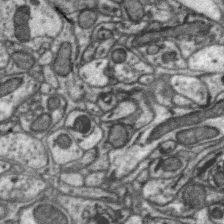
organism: Zebra finch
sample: Brain